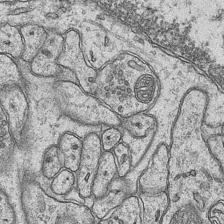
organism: Mouse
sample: CA1 Hippocampus